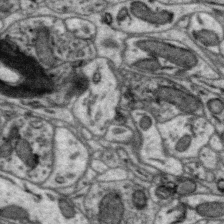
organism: Zebra finch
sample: Brain